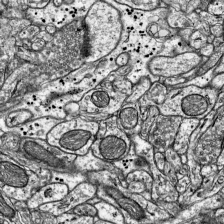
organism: Mouse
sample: Visual Cortex